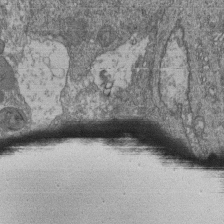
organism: Human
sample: Retinal organoid Rod and Cone cells